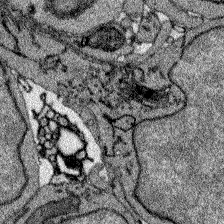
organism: Zebrafish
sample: Larval olfactory bulb